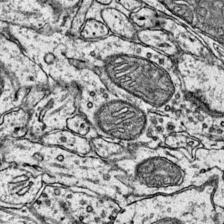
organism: Mouse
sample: Primary visual cortex